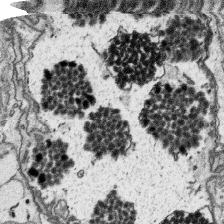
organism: Platynereis dumerilii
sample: Parapodia